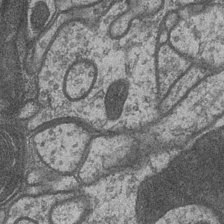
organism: Drosophila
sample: Optic medulla